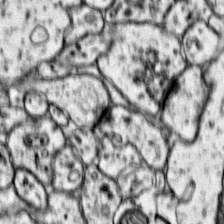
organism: Mouse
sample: Primary visual cortex